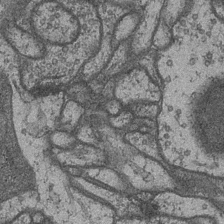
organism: Drosophila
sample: Optic medulla